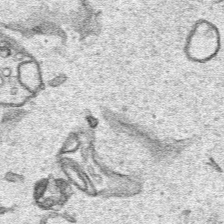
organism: Human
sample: Mitochondria in HCT116 cells